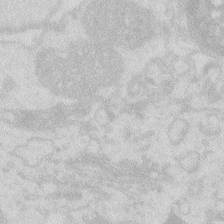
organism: Zebrafish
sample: Macrophage